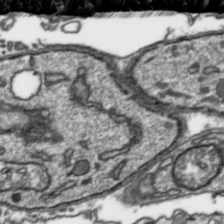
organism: Toxoplasma gondii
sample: Parasites in a vacuole inside a host cell